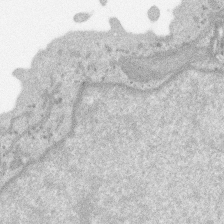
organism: Human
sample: Lung epithelial cells infected with SARS-CoV-2